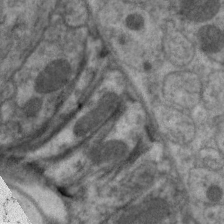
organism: C. elegans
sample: Pharynx